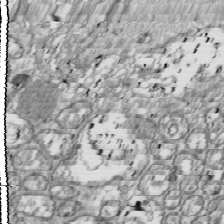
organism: Drosophila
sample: Cell division; meiosis; drosophila spermatocytes